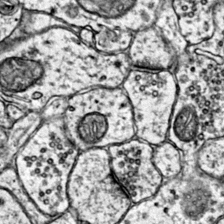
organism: Mouse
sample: Primary visual cortex